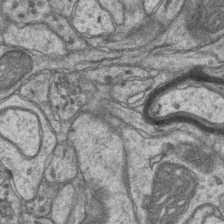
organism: Mouse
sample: CA1 Hippocampus